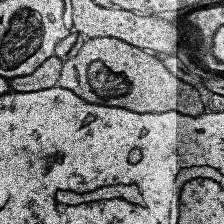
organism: Human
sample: Temporal Lobe